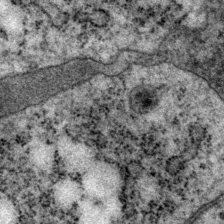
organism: P. pacificus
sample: Pharynx